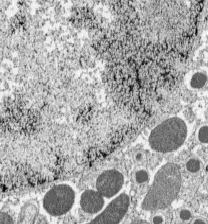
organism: C57BL Mouse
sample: Pancreatic islet